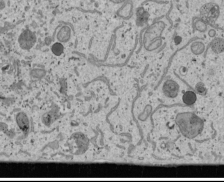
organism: Human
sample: Mitochondria in U2OS cells